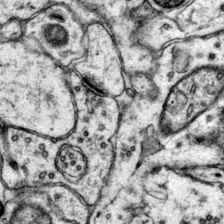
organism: Mouse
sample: Primary visual cortex